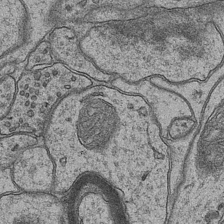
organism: Mouse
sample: CA1 Hippocampus